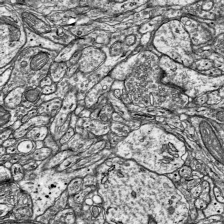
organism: Mouse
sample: Visual Cortex